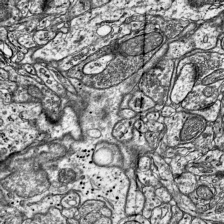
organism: Mouse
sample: Visual Cortex